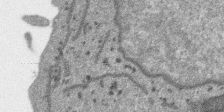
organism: Human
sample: Lung epithelial cells infected with SARS-CoV-2